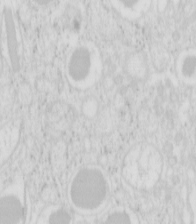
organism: Mouse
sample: Pancreas